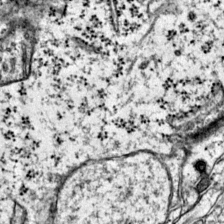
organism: Mouse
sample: Primary visual cortex